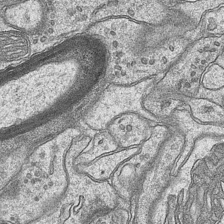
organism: Mouse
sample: CA1 Hippocampus